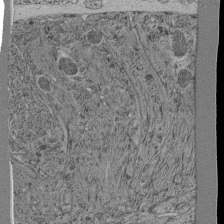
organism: C. elegans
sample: C. elegans pharynx